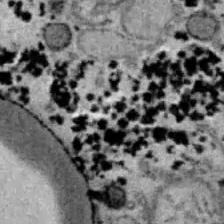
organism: Mouse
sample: Liver from an obese (ob/ob) mouse